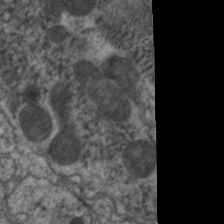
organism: C. elegans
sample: Pharynx